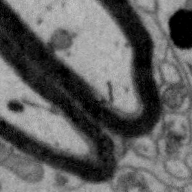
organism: Zebra finch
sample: Brain